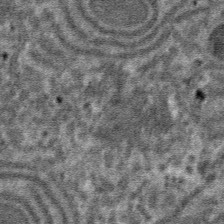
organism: Mouse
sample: Mouse hepatocytes